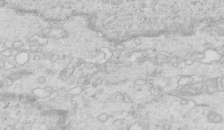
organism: Mouse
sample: Multiciliated cells